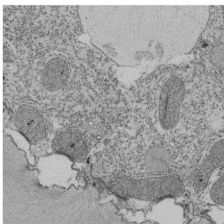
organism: Tetrahymena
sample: Cilia in tetrahymena